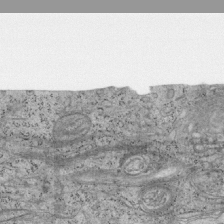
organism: Human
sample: HeLa cells